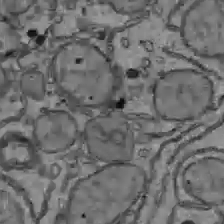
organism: C57BL Mouse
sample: Liver